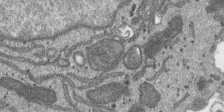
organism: Human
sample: Lung epithelial cells infected with SARS-CoV-2